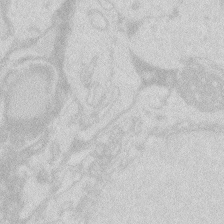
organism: Zebrafish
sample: Macrophage